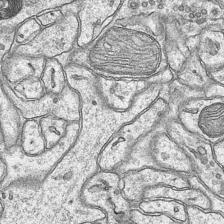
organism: Mouse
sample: CA1 Hippocampus